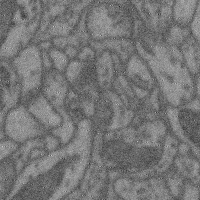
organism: Mouse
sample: Cerebral cortex